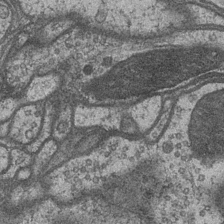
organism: Drosophila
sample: Optic medulla